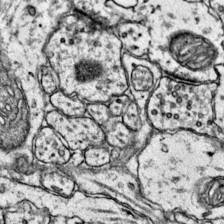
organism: Mouse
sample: Primary visual cortex